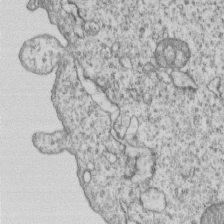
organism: Human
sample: MDA-MB-231 cells